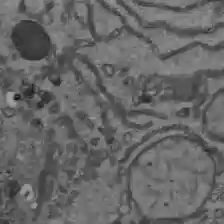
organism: C57BL Mouse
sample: Liver